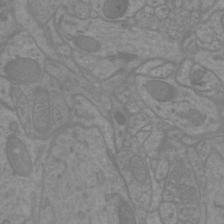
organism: Mouse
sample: Cortical neurons